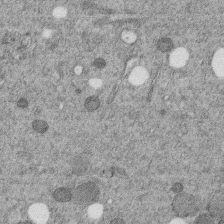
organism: C. elegans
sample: C. elegans embryo early stage